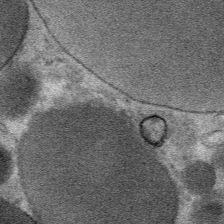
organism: Mouse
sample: Mouse Salivary gland